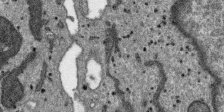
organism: Human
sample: Lung epithelial cells, uninfected (mock) control